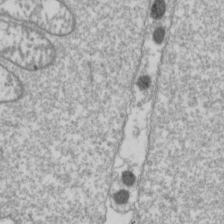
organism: Drosophila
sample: Cell division; meiosis; drosophila spermatocytes